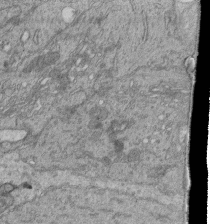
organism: Human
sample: Retinal organoid Rod and Cone cells